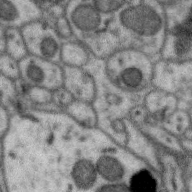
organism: Zebra finch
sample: Brain